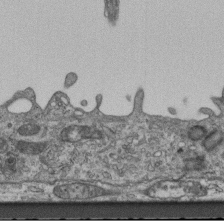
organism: Mouse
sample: Centriole in ependymal cells